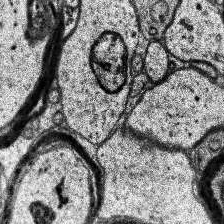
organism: Human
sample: Temporal Lobe